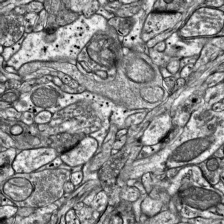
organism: Mouse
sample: Visual Cortex